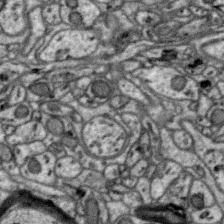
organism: Zebra finch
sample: Brain